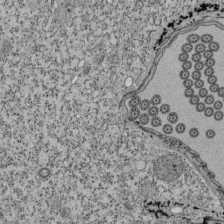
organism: Tetrahymena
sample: Cilia in tetrahymena